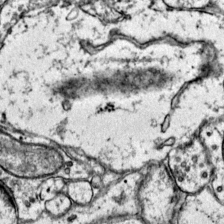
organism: Mouse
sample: Primary visual cortex